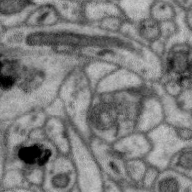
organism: Zebra finch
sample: Brain